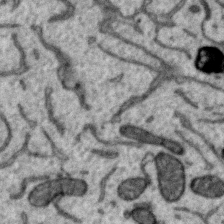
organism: Zebra finch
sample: Brain